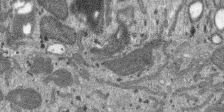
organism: Human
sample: Lung epithelial cells infected with SARS-CoV-2